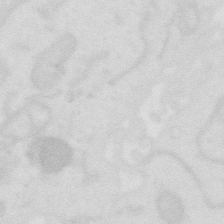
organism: Human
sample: HeLa cells